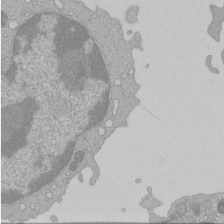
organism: Mouse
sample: Activated Pmel transgenic CD8+ T Cells